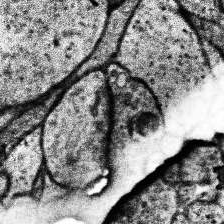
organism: Human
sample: Temporal Lobe